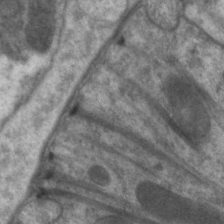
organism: C. elegans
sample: Pharynx